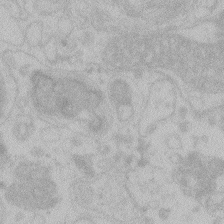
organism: Zebrafish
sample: Macrophage infected with Toxoplasma gondii